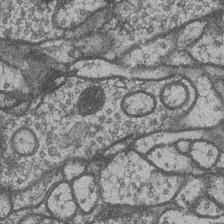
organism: Drosophila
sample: Optic medulla